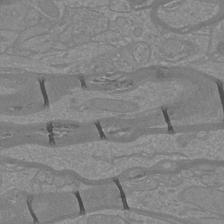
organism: Mouse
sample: Cortical neurons